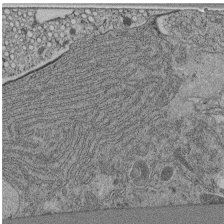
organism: C. elegans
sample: C. elegans pharynx